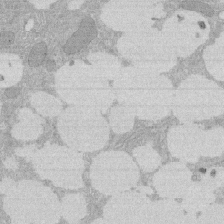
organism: Rat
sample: Salivary granule